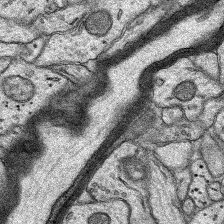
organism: Rat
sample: Hippocampus